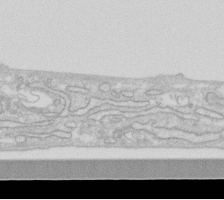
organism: Human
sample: Fibroblast cells